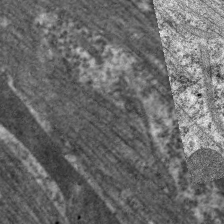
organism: C. elegans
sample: Pharynx